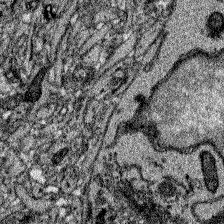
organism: Zebrafish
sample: Larval olfactory bulb